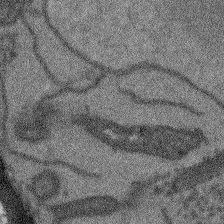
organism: Arabidopsis thaliana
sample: Root tip